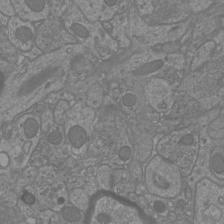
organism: Mouse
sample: Cortical neurons